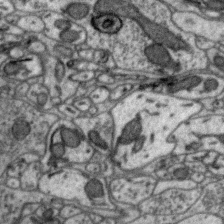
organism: Zebra finch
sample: Brain